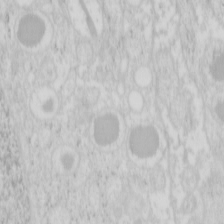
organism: Mouse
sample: Pancreas